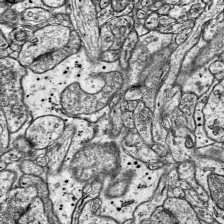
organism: Mouse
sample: Visual Cortex